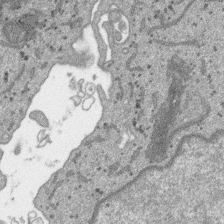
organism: Human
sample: Lung epithelial cells infected with SARS-CoV-2